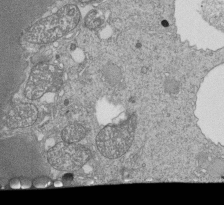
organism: Tetrahymena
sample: Cilia in tetrahymena